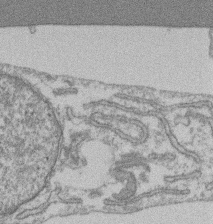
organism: Mouse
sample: T cell stromal cell synapse